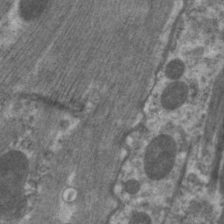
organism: C. elegans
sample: Pharynx